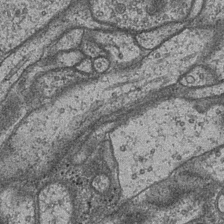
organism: Drosophila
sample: Optic medulla